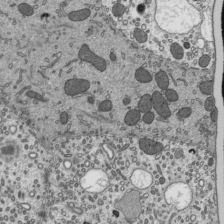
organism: Mouse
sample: Mouse epididymis efferent ductule cilia